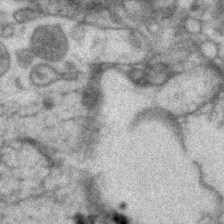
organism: Zebrafish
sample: Zebrafish embryo